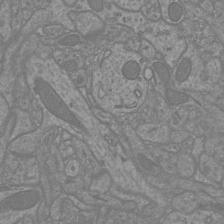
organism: Mouse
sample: Cortical neurons